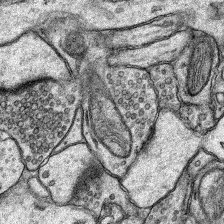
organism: Rat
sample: Hippocampus